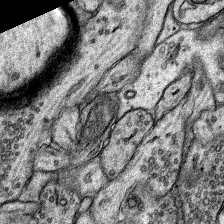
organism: Rat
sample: Hippocampus